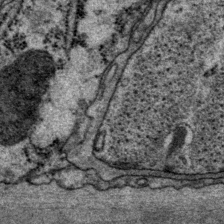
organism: P. pacificus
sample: Pharynx